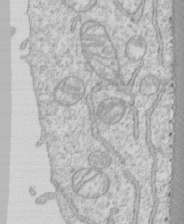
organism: Human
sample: CRL-1474